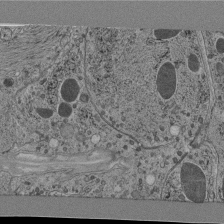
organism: C. elegans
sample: C. elegans pharynx